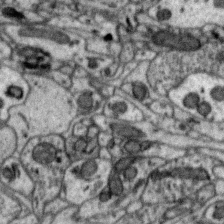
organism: Zebra finch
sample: Brain